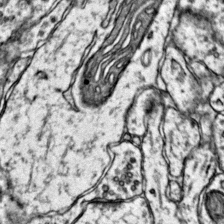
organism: Mouse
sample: Primary visual cortex